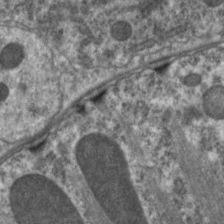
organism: C. elegans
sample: Pharynx